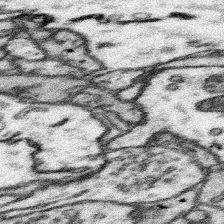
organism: Mouse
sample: Somatosensory cortex neuropil